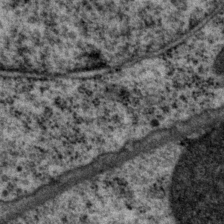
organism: P. pacificus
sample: Pharynx